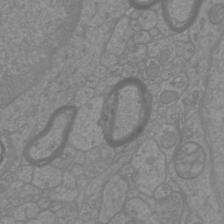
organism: Mouse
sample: Cortical neurons